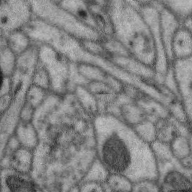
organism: Zebra finch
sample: Brain